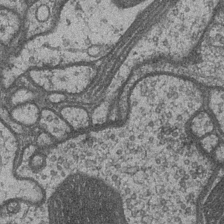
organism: Drosophila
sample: Optic medulla